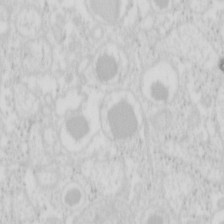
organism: Mouse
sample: Pancreas